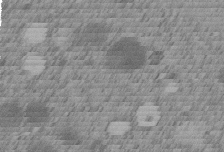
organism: C. elegans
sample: C. elegans embryo early stage